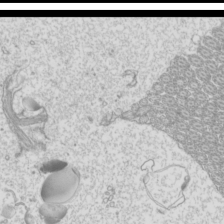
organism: Mouse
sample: Cilia; mouse epididymis